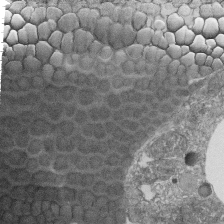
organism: Tetrahymena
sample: Cilia in tetrahymena